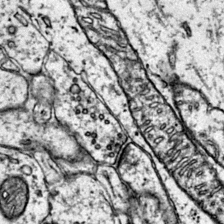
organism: Mouse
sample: Primary visual cortex